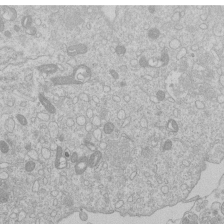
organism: Human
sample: Macrophage cells